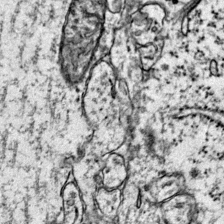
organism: Mouse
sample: Primary visual cortex